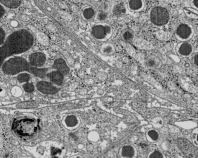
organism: C57BL Mouse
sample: Pancreatic islet